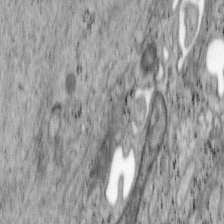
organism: Human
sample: HeLa cells